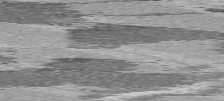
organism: C57BL Mouse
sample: Heart